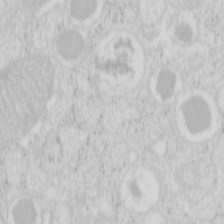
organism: Mouse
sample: Pancreas